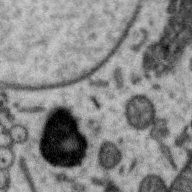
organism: Zebra finch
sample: Brain